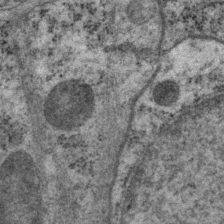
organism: P. pacificus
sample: Pharynx